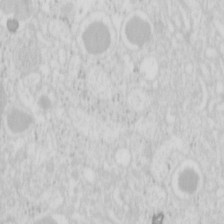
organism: Mouse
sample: Pancreas